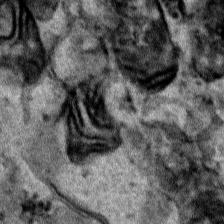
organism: Human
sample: Mitochondria in HCT116 cells